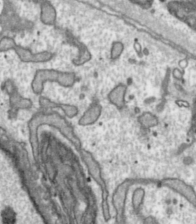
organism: Toxoplasma gondii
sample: Parasites in a vacuole inside a host cell